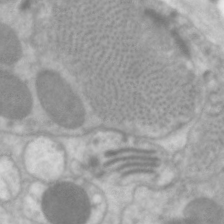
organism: C. elegans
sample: Pharynx